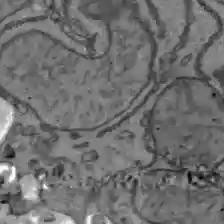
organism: C57BL Mouse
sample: Liver